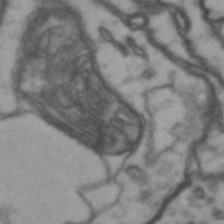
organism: Drosophila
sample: Brain